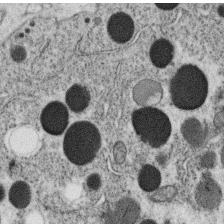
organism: C. elegans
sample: C. elegans oocyte; sperm cells